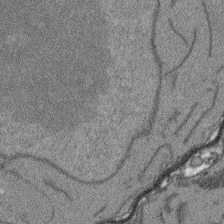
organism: Arabidopsis thaliana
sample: Root tip